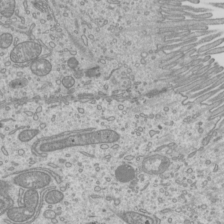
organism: Mouse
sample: Cilia; mouse epididymis